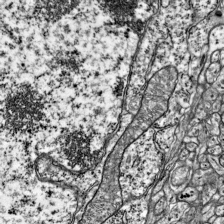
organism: Mouse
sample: Visual Cortex